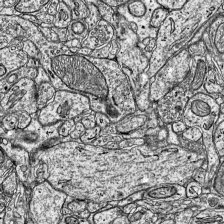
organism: Mouse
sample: Visual Cortex